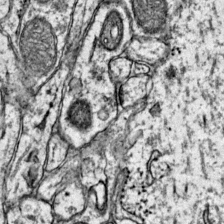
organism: Mouse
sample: Primary visual cortex